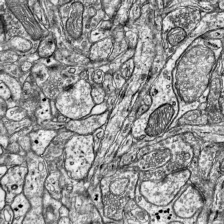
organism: Mouse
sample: Visual Cortex